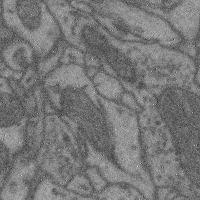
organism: Mouse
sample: Cerebral cortex